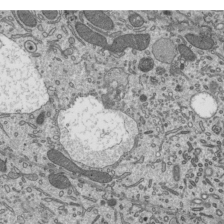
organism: Mouse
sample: Mouse epididymis efferent ductule cilia